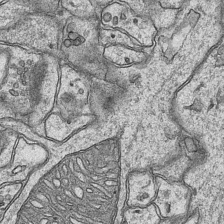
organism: Mouse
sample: CA1 Hippocampus